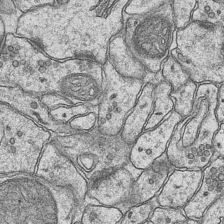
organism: Mouse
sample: CA1 Hippocampus